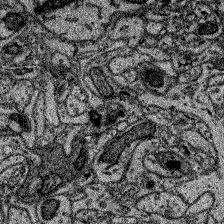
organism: Zebrafish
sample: Larval olfactory bulb